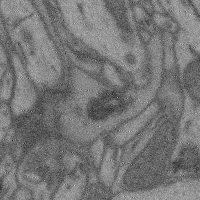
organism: Mouse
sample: Cerebral cortex